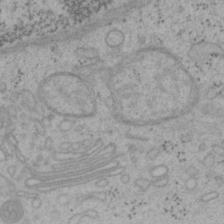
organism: Human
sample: HeLa cells